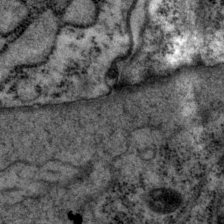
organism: P. pacificus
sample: Pharynx